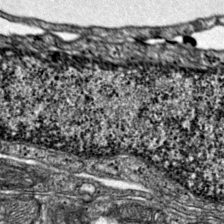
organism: Mouse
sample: Primary visual cortex